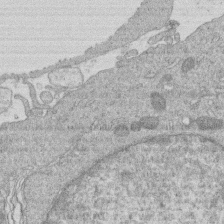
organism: Human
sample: Macrophage cells